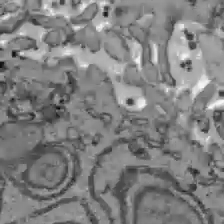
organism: C57BL Mouse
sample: Liver